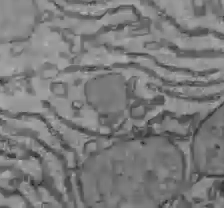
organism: C57BL Mouse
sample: Liver